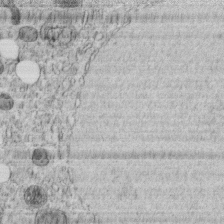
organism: C. elegans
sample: C. elegans embryo early stage